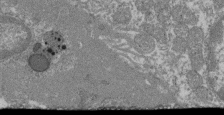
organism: Mouse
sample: Glomerulus